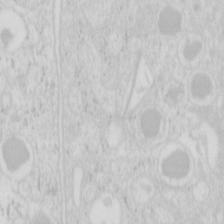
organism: Mouse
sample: Pancreas